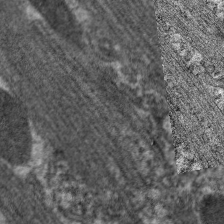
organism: C. elegans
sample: Pharynx